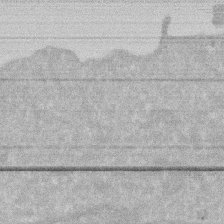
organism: Human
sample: HIV infected U937 cells